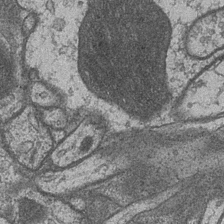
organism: Drosophila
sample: Optic medulla